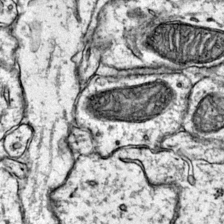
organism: Mouse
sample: Primary visual cortex